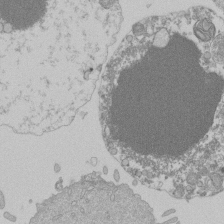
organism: Mouse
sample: Activated Pmel transgenic CD8+ T Cells